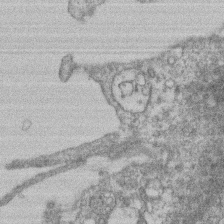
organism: Mouse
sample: T cell stromal cell synapse